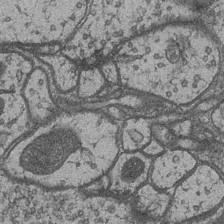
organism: Drosophila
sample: Optic medulla